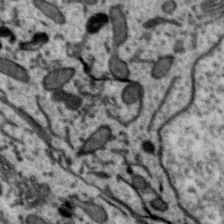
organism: Zebra finch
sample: Brain